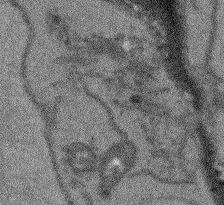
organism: Arabidopsis thaliana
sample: Root tip